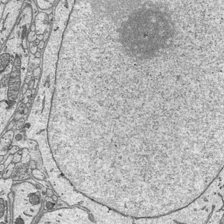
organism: Mouse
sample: Suprachiasmatic nucleus